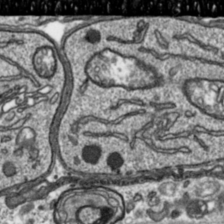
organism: Toxoplasma gondii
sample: Parasites in a vacuole inside a host cell